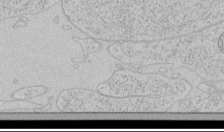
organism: Human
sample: Mitochondria in HCT116 cells